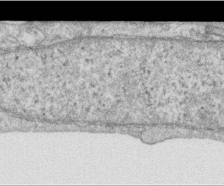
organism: Human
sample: Centriole in RPE cells